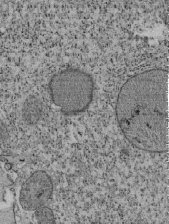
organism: Tetrahymena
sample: Cilia in tetrahymena